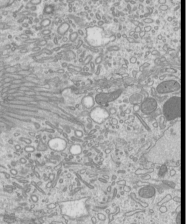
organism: Mouse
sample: Cilia; mouse epididymis